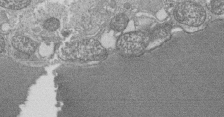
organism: Tetrahymena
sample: Cilia in tetrahymena